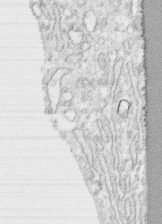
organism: Human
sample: CRL-1474